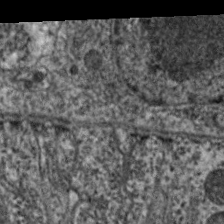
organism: C. elegans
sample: Pharynx